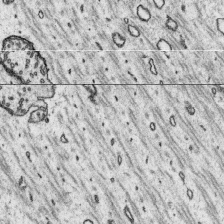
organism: Platynereis dumerilii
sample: Parapodia